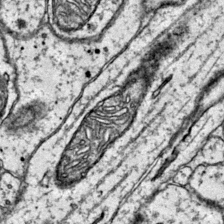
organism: Mouse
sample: Primary visual cortex